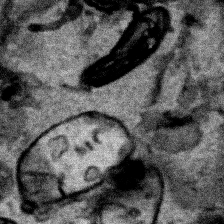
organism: Human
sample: Mitochondria in HCT116 cells